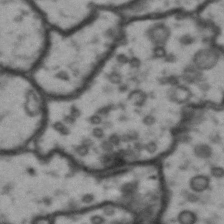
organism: Drosophila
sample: Brain